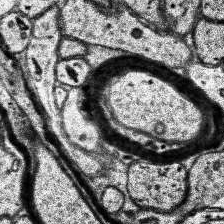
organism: Human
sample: Temporal Lobe